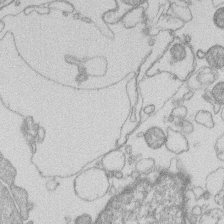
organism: Human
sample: Macrophage cells